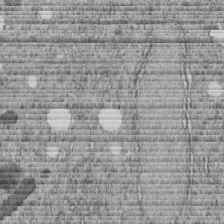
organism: C. elegans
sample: C. elegans embryo early stage